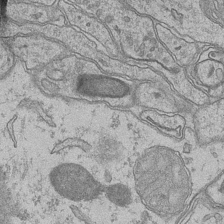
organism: Mouse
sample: CA1 Hippocampus